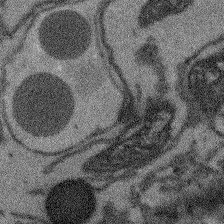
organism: Arabidopsis thaliana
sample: Root tip